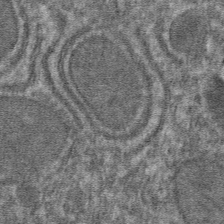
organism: Mouse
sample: Mouse hepatocytes